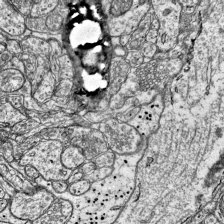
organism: Mouse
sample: Visual Cortex